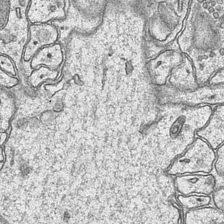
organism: Mouse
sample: CA1 Hippocampus